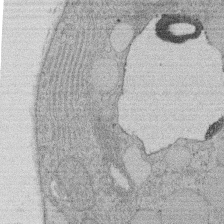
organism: Rat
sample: Salivary granule